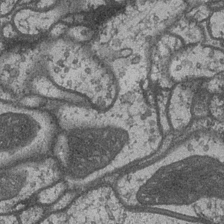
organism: Drosophila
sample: Optic medulla